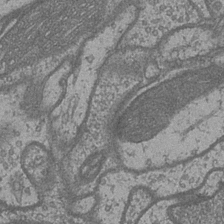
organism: Drosophila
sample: Optic medulla